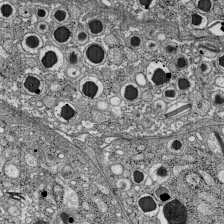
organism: C57BL Mouse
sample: Pancreatic islet